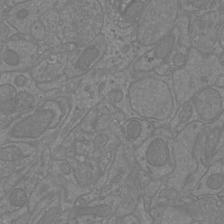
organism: Mouse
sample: Cortical neurons